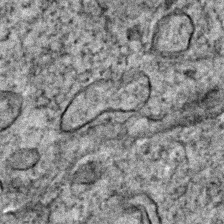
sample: Trachea